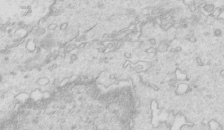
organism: Mouse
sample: Multiciliated cells